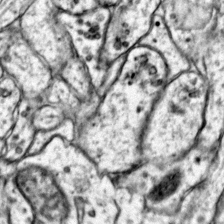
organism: Mouse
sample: Primary visual cortex